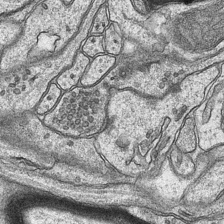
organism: Mouse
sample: CA1 Hippocampus